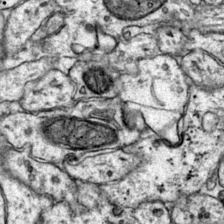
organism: Mouse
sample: Primary visual cortex